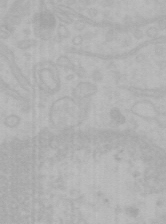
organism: Mouse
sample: Choroid plexus